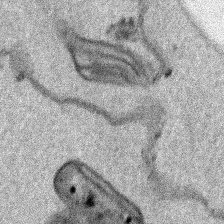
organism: Human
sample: Mitochondria in HCT116 cells